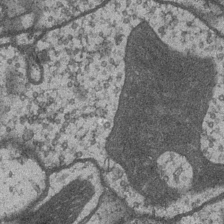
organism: Drosophila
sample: Optic medulla